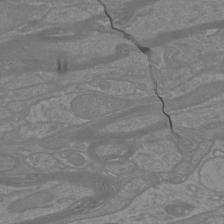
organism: Mouse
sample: Cortical neurons